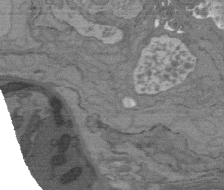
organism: C. elegans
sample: AFD neurons C. elegans